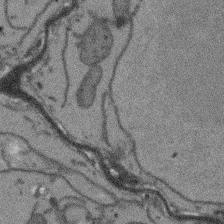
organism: Arabidopsis thaliana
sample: Root tip